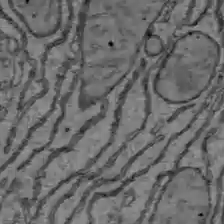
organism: C57BL Mouse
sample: Liver